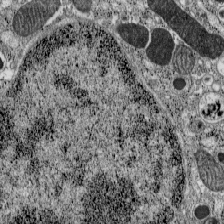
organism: C57BL Mouse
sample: Pancreatic islet